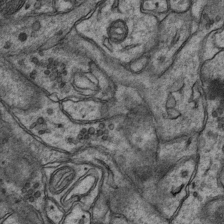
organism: Mouse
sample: CA1 Hippocampus